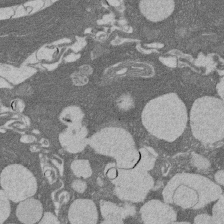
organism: Rat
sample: Salivary granule